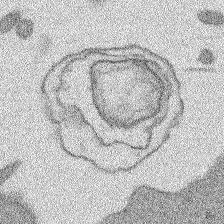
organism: Human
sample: HeLa cells